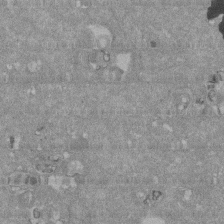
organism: Mouse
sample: ED-1 cell nuclei; centrioles